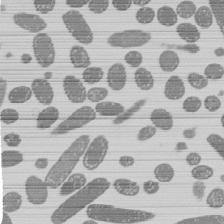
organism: E. coli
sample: Bacterial nucleoid